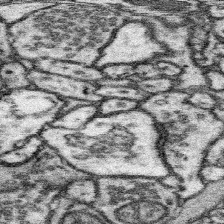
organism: Mouse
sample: Somatosensory cortex neuropil